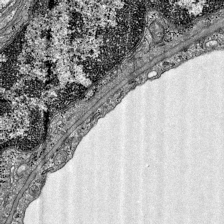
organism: Mouse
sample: Visual Cortex